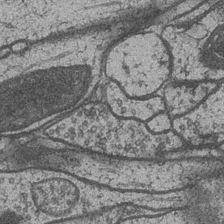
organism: Drosophila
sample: Optic medulla